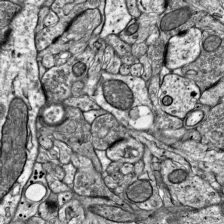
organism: Mouse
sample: Visual Cortex